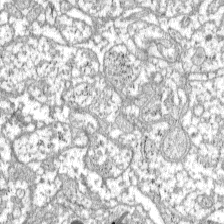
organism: C57BL Mouse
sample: Pancreatic islet